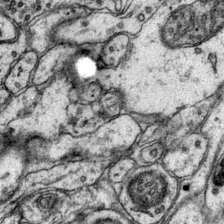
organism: Mouse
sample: Primary visual cortex